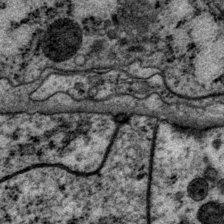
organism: P. pacificus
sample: Pharynx